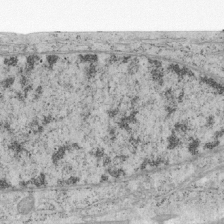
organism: Human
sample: HeLa cells